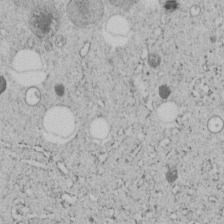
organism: C. elegans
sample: C. elegans embryo early stage